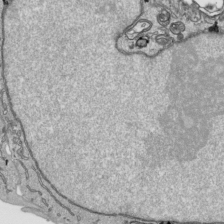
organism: Human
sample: Mitochondria in HCT116 cells